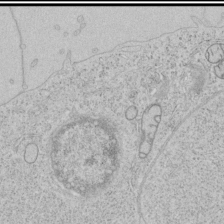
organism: Human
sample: Mitochondria in HCT116 cells